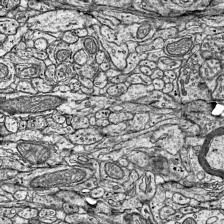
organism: Mouse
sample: Visual Cortex